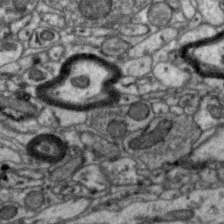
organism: Zebra finch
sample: Brain